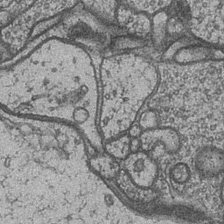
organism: Drosophila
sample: Optic medulla